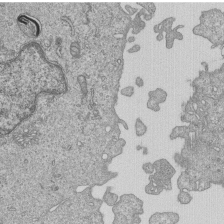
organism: Human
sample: MDA-MB-231 cells